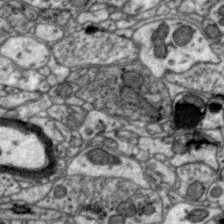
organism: Zebra finch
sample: Brain